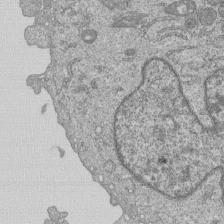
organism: Human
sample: MDA-MB-231 cells